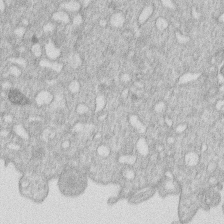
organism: Human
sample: Macrophage cells